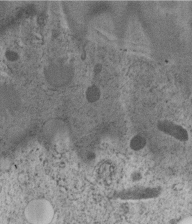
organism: C. elegans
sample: C. elegans embryo early stage